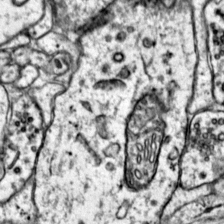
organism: Mouse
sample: Primary visual cortex